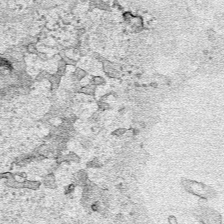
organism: Human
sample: Mitochondria in HCT116 cells